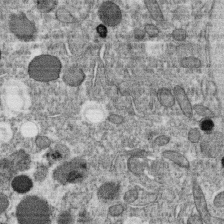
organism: C. elegans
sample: C. elegans oocyte; sperm cells